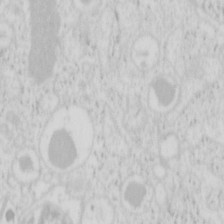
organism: Mouse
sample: Pancreas